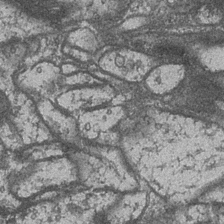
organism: Drosophila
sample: Optic medulla